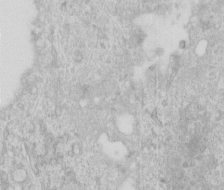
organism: Human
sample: Centriole in RPE cells